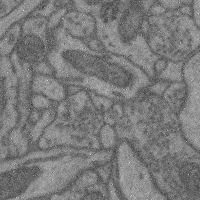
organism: Mouse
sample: Cerebral cortex